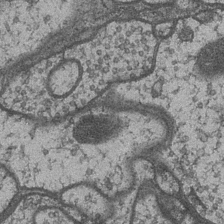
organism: Drosophila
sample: Optic medulla